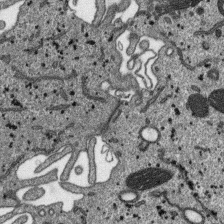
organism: Human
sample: Lung epithelial cells infected with SARS-CoV-2